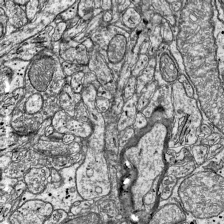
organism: Mouse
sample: Visual Cortex